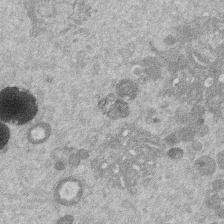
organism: Mouse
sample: Dividing mouse embryo 1 cell stage